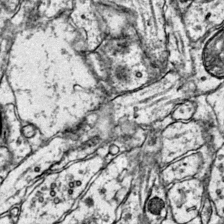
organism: Mouse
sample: Primary visual cortex